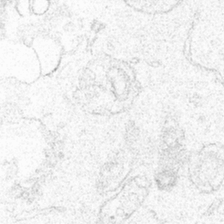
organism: Human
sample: Mitochondria in HCT116 cells